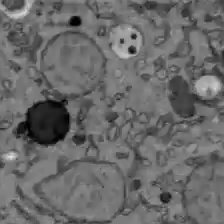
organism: C57BL Mouse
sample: Liver